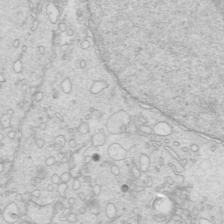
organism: Mouse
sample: Multiciliated cells